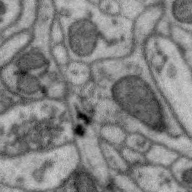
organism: Zebra finch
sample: Brain